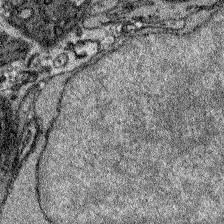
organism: Zebrafish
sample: Larval olfactory bulb